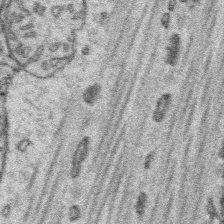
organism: Platynereis dumerilii